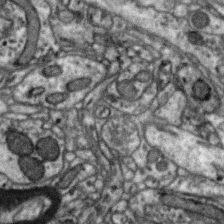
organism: Zebra finch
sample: Brain